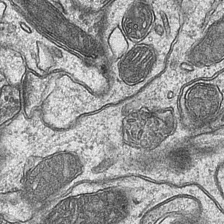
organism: Mouse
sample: CA1 Hippocampus